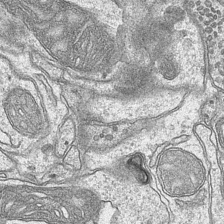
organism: Mouse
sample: CA1 Hippocampus